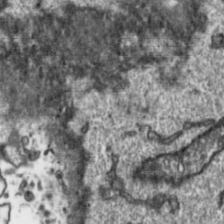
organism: Toxoplasma gondii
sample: Parasites in a vacuole inside a host cell